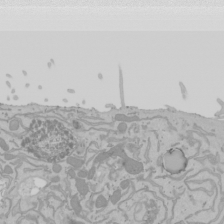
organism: Mouse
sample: Cancer cell death in ED-1 cells